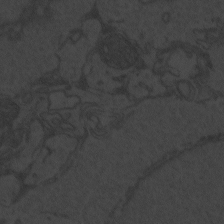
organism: Zebrafish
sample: Macrophage infected with Toxoplasma gondii